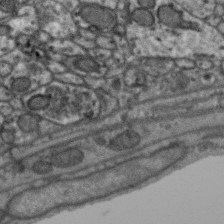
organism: Zebra finch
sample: Brain